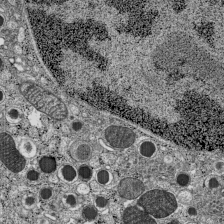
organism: C57BL Mouse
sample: Pancreatic islet